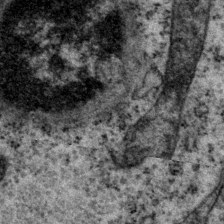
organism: P. pacificus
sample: Pharynx